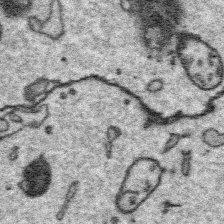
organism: Platynereis dumerilii